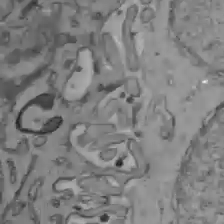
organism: C57BL Mouse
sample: Liver